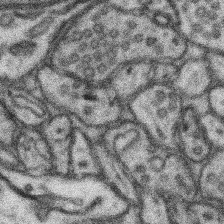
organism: Mouse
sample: Somatosensory cortex neuropil